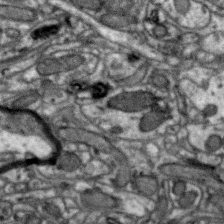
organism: Zebra finch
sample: Brain